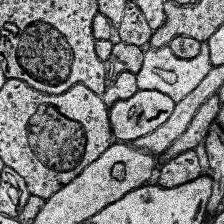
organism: Human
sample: Temporal Lobe